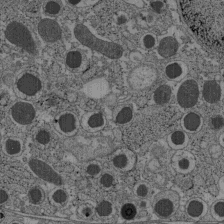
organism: C57BL Mouse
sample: Pancreatic islet